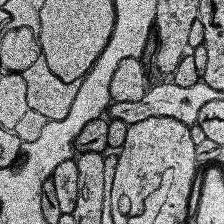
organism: Human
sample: Temporal Lobe